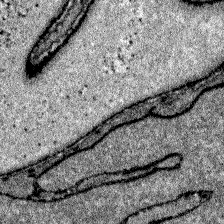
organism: Zebrafish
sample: Larval olfactory bulb